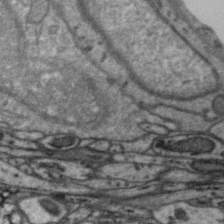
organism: Zebra finch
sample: Brain